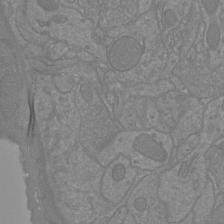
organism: Mouse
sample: Cortical neurons